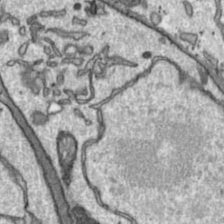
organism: Toxoplasma gondii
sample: Parasites in a vacuole inside a host cell